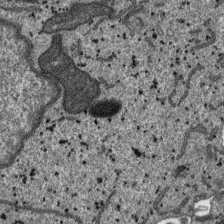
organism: Human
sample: Lung epithelial cells infected with SARS-CoV-2